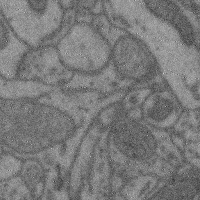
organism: Mouse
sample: Cerebral cortex